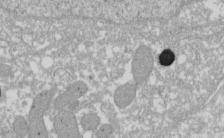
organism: Xenopus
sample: Cilia; centrioles in frog embryo cells